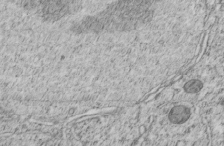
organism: C. elegans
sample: C. elegans embryo early stage